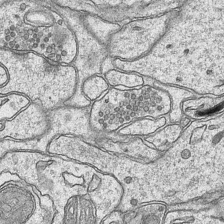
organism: Mouse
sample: CA1 Hippocampus